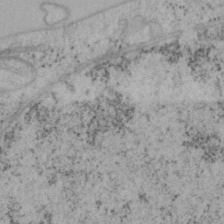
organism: Human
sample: HeLa cells